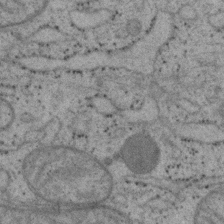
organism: Human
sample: HeLa cells